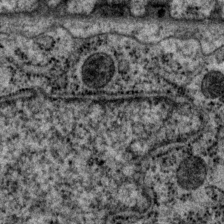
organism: P. pacificus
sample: Pharynx